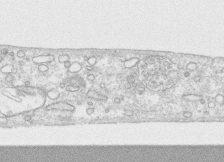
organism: Human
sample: CRL-1474